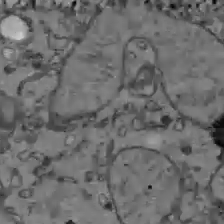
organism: C57BL Mouse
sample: Liver